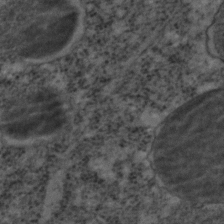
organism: C. elegans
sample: C. elegans embryo